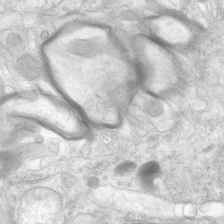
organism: Human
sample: Neocortex